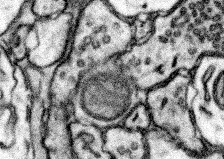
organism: Mouse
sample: Somatosensory cortex neuropil